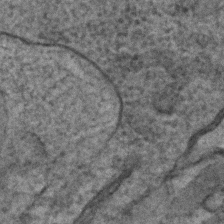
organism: C. elegans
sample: C. elegans embryo